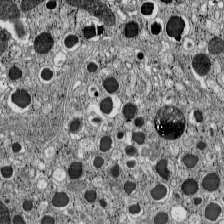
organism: C57BL Mouse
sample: Pancreatic islet